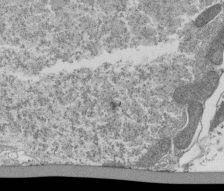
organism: Tetrahymena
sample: Cilia in tetrahymena